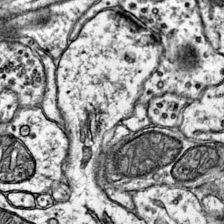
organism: Mouse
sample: Primary visual cortex